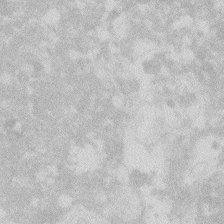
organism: Zebrafish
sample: Macrophage